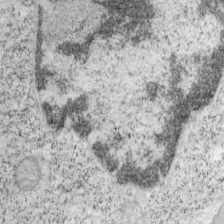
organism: Mouse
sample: OT-I killer T cells with ID8 ovarian cancer cells